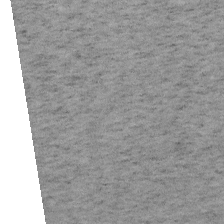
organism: Mouse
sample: OT-I killer T cells with ID8 ovarian cancer cells